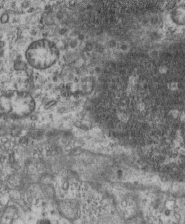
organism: Mouse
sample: Centriole in ependymal cells